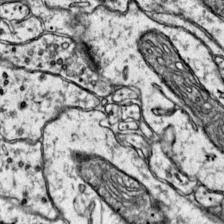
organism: Mouse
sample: Primary visual cortex